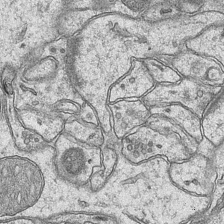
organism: Mouse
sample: CA1 Hippocampus